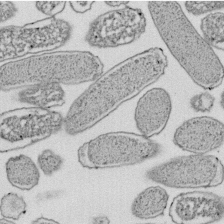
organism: E. coli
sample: Bacterial nucleoid